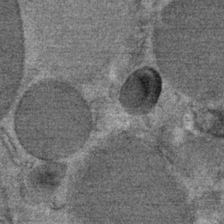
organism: Mouse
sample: Mouse Salivary gland